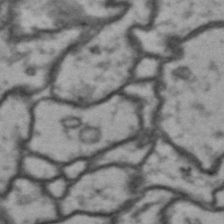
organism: Drosophila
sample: Brain